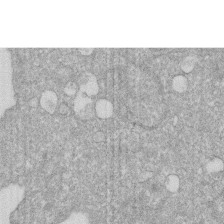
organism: Human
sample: HIV infected U937 cells